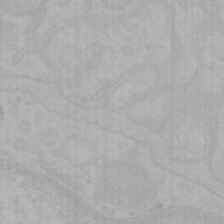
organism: Mouse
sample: Choroid plexus